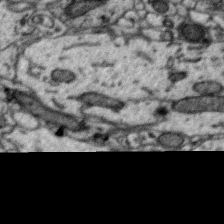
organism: Zebra finch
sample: Brain